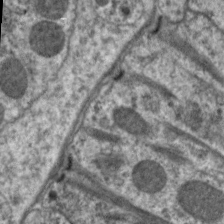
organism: C. elegans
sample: Pharynx